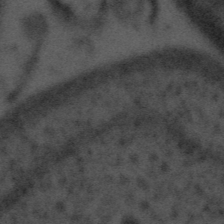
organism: Tuwongella immobilis